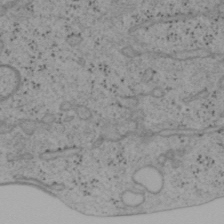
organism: Human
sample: HeLa cells